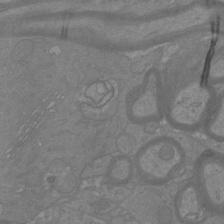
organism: Mouse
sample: Cortical neurons